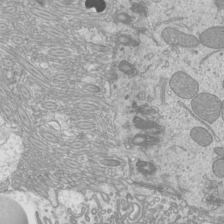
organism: Mouse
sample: Cilia; mouse epididymis